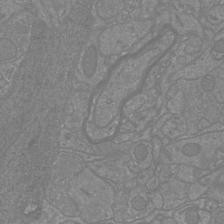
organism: Mouse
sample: Cortical neurons